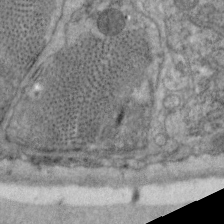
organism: C. elegans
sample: Pharynx